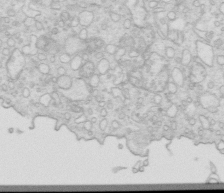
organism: Mouse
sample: Multiciliated cells